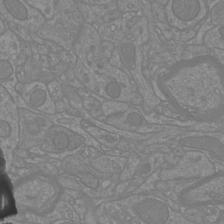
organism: Mouse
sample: Cortical neurons